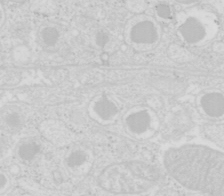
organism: Mouse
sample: Pancreas